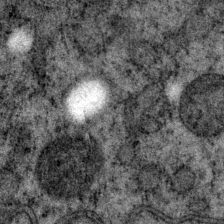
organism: P. pacificus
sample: Pharynx